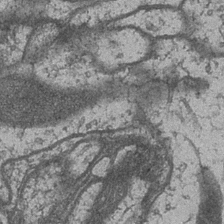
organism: Drosophila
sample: Optic medulla